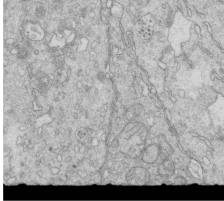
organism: Mouse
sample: Multiciliated cells